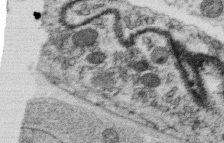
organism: C. elegans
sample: C. elegans oocyte; sperm cells